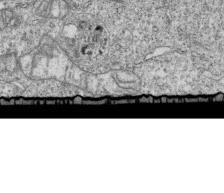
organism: Human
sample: HeLa cell HIV synapse